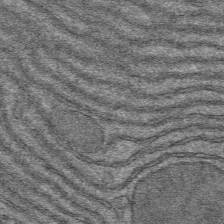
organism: Mouse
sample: Mouse hepatocytes